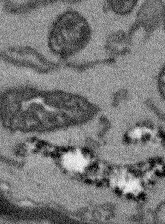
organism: Arabidopsis thaliana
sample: Root tip